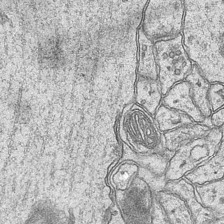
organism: Mouse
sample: CA1 Hippocampus